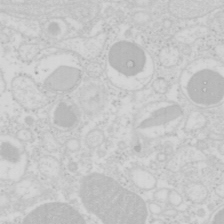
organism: Mouse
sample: Pancreas